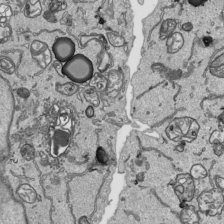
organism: Human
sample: Mitochondria in HCT116 cells